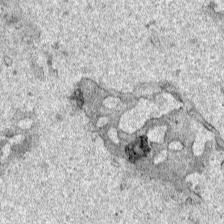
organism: Human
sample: Mitochondria in HCT116 cells